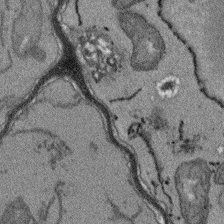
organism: Arabidopsis thaliana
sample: Root tip